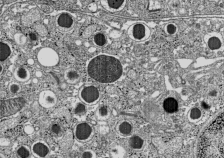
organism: C57BL Mouse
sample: Pancreatic islet